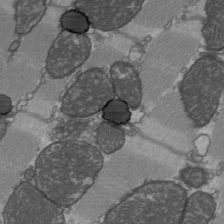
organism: C57BL Mouse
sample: Heart